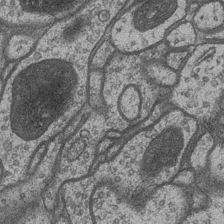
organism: Drosophila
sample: Optic medulla